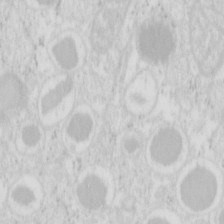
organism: Mouse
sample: Pancreas